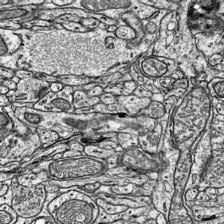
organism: Mouse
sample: Visual Cortex